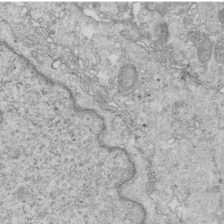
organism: Mouse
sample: Multiciliated cells